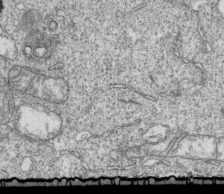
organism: Human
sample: HeLa cell HIV synapse